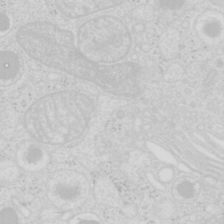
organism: Mouse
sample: Pancreas